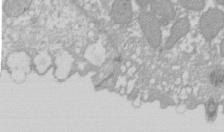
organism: Xenopus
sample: Cilia; centrioles in frog embryo cells